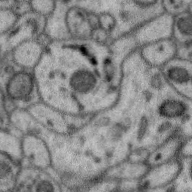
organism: Zebra finch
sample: Brain